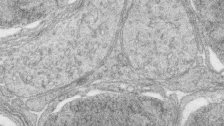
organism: Zebrafish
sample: synaptic ribbons in rod cells and cone cells